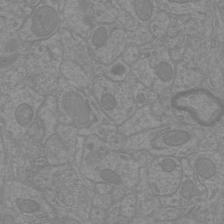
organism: Mouse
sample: Cortical neurons